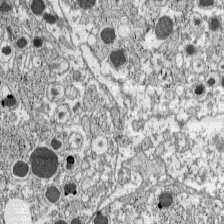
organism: C57BL Mouse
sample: Pancreatic islet